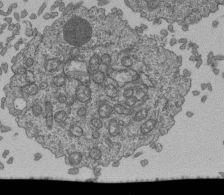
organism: Human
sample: Retinal organoid Rod and Cone cells